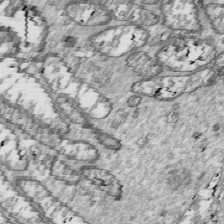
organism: Drosophila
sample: Cell division; meiosis; drosophila spermatocytes